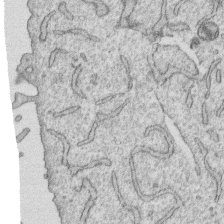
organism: Human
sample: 1205lu cells